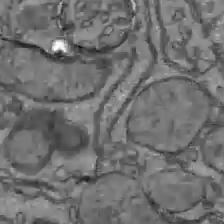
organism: C57BL Mouse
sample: Liver